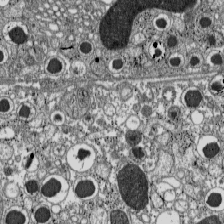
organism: C57BL Mouse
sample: Pancreatic islet